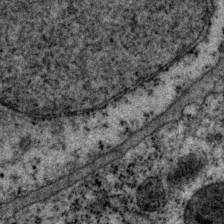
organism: P. pacificus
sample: Pharynx